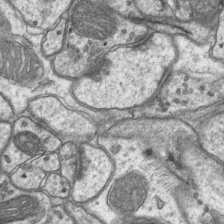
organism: Mouse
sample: CA1 Hippocampus